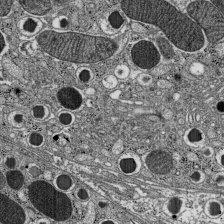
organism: C57BL Mouse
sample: Pancreatic islet